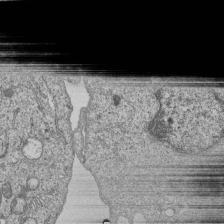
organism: Human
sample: MDA-MB-231 cells